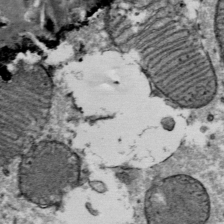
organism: Mouse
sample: Mouse Salivary gland